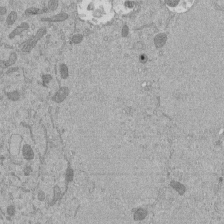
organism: Mouse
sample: ED-1 cell nuclei; centrioles